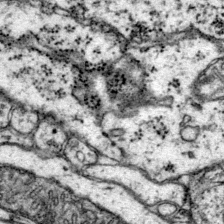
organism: Mouse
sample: Primary visual cortex